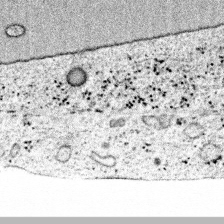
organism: Human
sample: HeLa cells